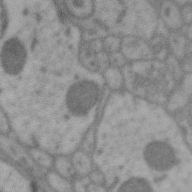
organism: Zebra finch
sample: Brain